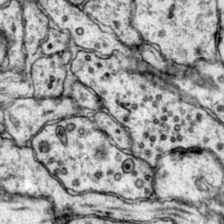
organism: Mouse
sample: Primary visual cortex